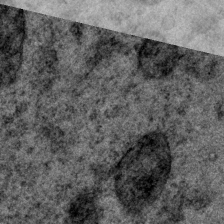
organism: P. pacificus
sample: Pharynx